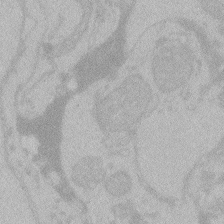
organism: Zebrafish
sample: Macrophage infected with Toxoplasma gondii